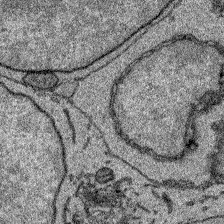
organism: Zebrafish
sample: Larval olfactory bulb